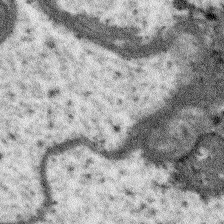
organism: Arabidopsis thaliana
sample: Root tip